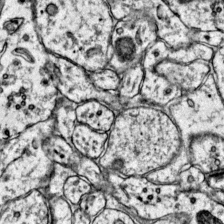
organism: Mouse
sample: Primary visual cortex